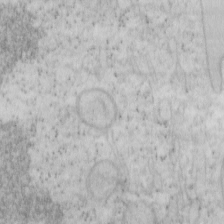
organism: Human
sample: HeLa cells